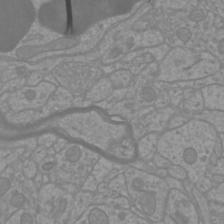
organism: Mouse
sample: Cortical neurons